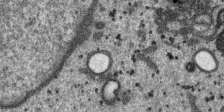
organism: Human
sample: Lung epithelial cells infected with SARS-CoV-2